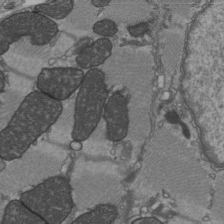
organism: C57BL Mouse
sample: Heart